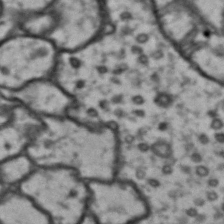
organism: Drosophila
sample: Brain